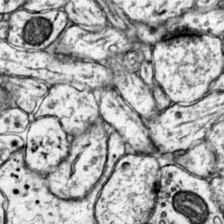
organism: Mouse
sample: Primary visual cortex